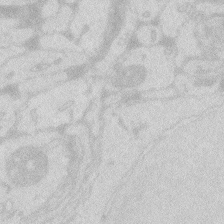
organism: Zebrafish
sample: Macrophage